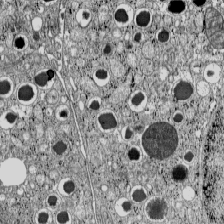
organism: C57BL Mouse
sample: Pancreatic islet